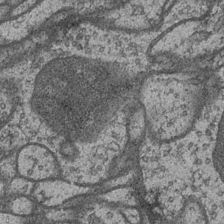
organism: Drosophila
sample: Optic medulla